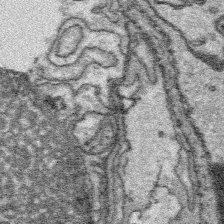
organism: Platynereis dumerilii